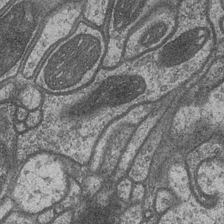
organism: Drosophila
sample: Optic medulla